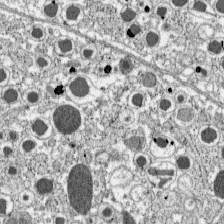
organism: C57BL Mouse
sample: Pancreatic islet